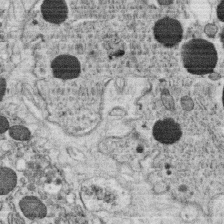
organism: C. elegans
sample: C. elegans oocyte; sperm cells